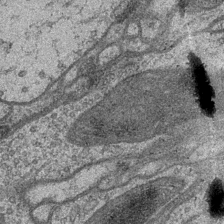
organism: Drosophila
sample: Optic medulla